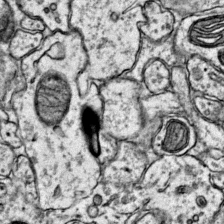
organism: Mouse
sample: Primary visual cortex